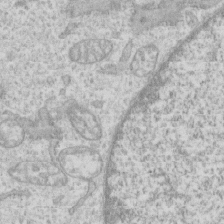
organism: Human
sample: CRL-1474